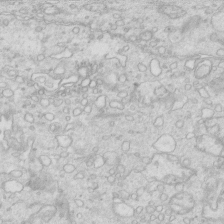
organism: Mouse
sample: Multiciliated cells